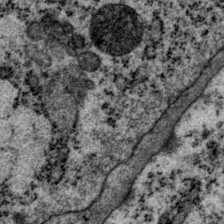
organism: P. pacificus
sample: Pharynx